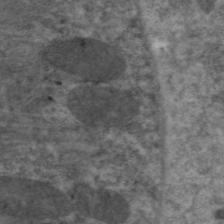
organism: C. elegans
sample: Pharynx